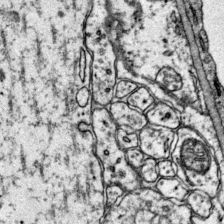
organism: Mouse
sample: Primary visual cortex